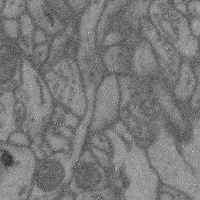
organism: Mouse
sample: Cerebral cortex